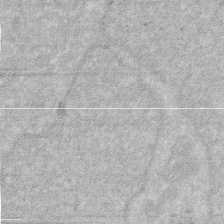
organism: Human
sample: HIV infected U937 cells